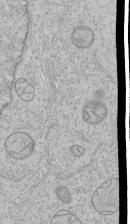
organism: Human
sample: Mitochondria in HCT116 cells